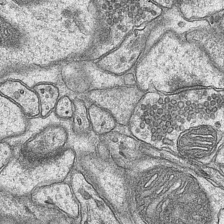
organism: Mouse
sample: CA1 Hippocampus